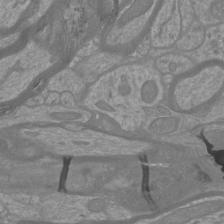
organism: Mouse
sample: Cortical neurons